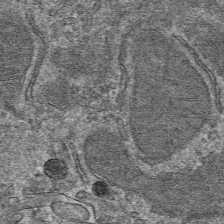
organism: Mouse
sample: Mouse hepatocytes